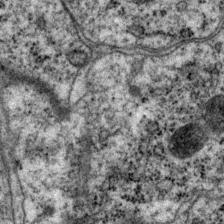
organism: P. pacificus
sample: Pharynx